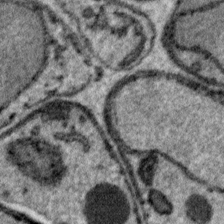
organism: Plasmodium falciparum